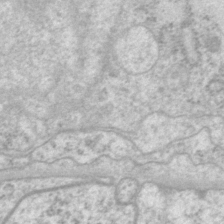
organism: P. pacificus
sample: Pharynx